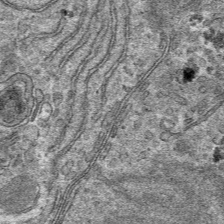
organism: Mouse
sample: Mouse hepatocytes